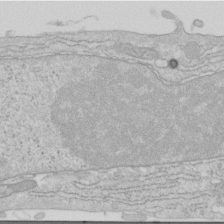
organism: Human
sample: Centriole in RPE cells